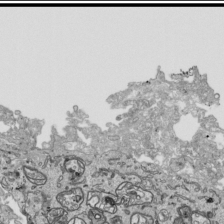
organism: Human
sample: Mitochondria in HCT116 cells